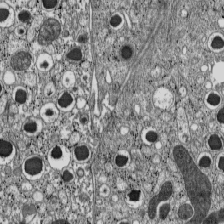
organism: C57BL Mouse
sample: Pancreatic islet